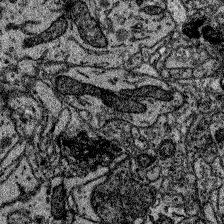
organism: Zebrafish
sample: Larval olfactory bulb